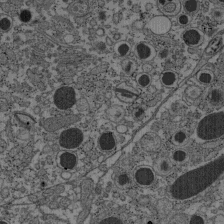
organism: C57BL Mouse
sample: Pancreatic islet